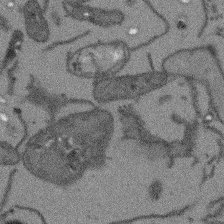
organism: Arabidopsis thaliana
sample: Root tip